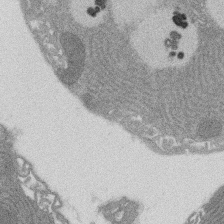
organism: Rat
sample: Salivary granule